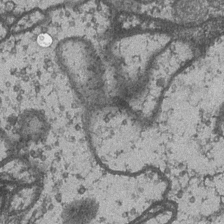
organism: Drosophila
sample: Optic medulla